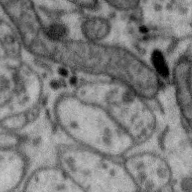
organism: Zebra finch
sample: Brain